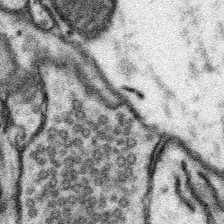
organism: Mouse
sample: Somatosensory cortex neuropil